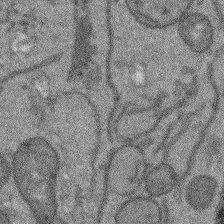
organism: Arabidopsis thaliana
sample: Root tip